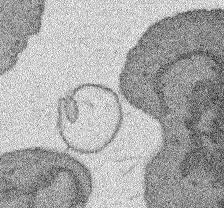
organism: Human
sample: HeLa cells